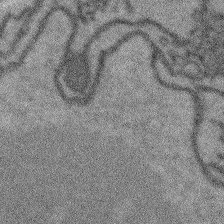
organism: Arabidopsis thaliana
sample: Root tip